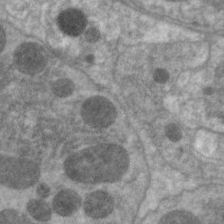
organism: C. elegans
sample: Pharynx